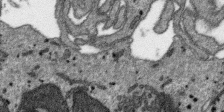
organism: Human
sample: Lung epithelial cells, uninfected (mock) control